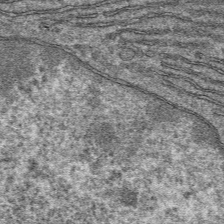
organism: Mouse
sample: Mouse hepatocytes